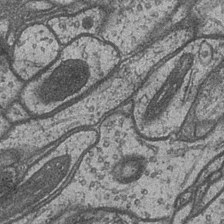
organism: Drosophila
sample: Optic medulla